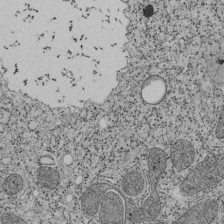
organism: Tetrahymena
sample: Cilia in tetrahymena